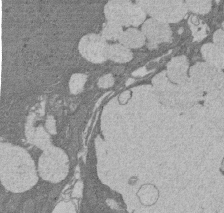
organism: Rat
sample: Salivary granule